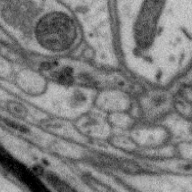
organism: Zebra finch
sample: Brain